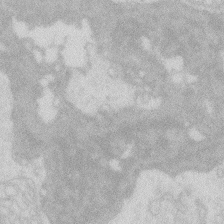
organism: Zebrafish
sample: Macrophage